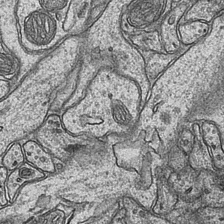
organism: Mouse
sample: CA1 Hippocampus